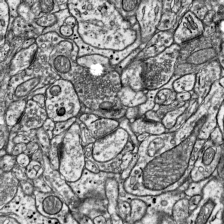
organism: Mouse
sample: Visual Cortex